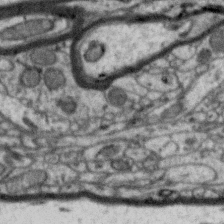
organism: Zebra finch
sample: Brain